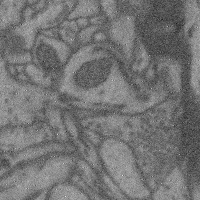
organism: Mouse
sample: Cerebral cortex